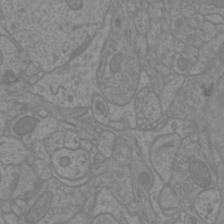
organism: Mouse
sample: Cortical neurons